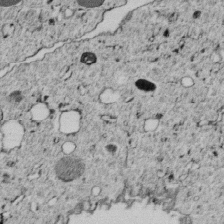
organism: C. elegans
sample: C. elegans embryo early stage